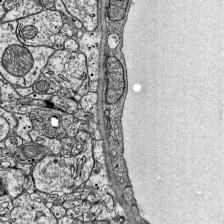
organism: Mouse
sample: Visual Cortex